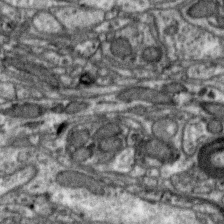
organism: Zebra finch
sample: Brain